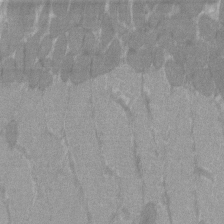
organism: C57BL Mouse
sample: Tibialis anterior muscle cell